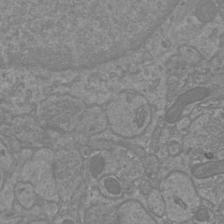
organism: Mouse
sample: Cortical neurons